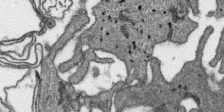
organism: Human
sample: Lung epithelial cells, uninfected (mock) control